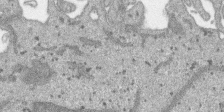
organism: Human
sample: Lung epithelial cells infected with SARS-CoV-2